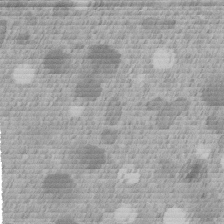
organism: C. elegans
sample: C. elegans embryo early stage